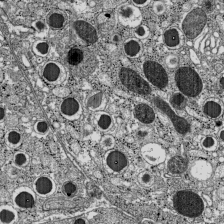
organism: C57BL Mouse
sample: Pancreatic islet